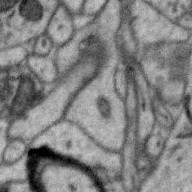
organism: Zebra finch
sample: Brain